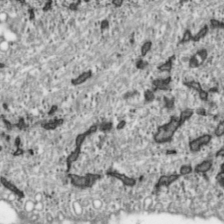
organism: Toxoplasma gondii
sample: Parasites in a vacuole inside a host cell